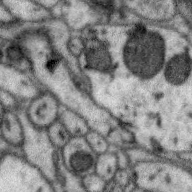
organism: Zebra finch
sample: Brain